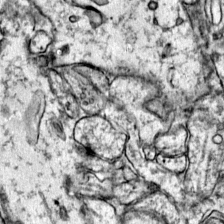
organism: Mouse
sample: Primary visual cortex